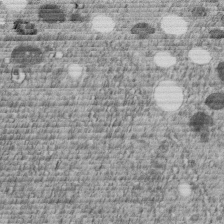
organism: C. elegans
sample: C. elegans embryo early stage